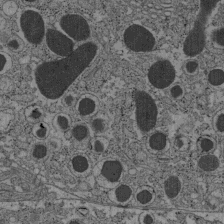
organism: C57BL Mouse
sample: Pancreatic islet